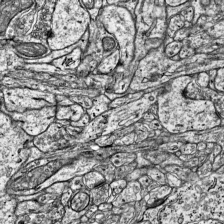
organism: Mouse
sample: Visual Cortex